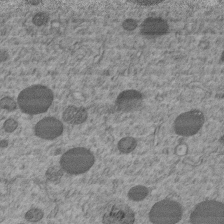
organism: C. elegans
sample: C. elegans embryo early stage